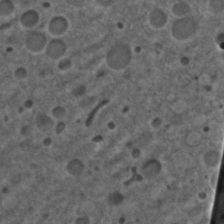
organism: C. elegans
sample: C. elegans embryo